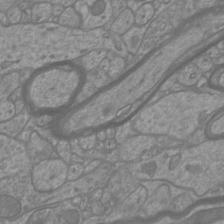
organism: Mouse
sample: Cortical neurons